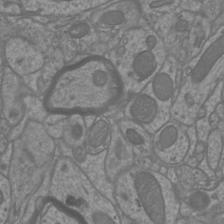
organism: Mouse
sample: Cortical neurons